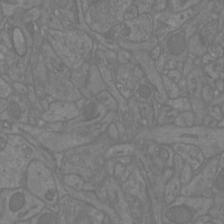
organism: Mouse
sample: Cortical neurons